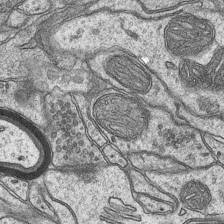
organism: Mouse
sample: CA1 Hippocampus